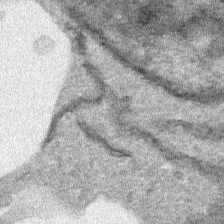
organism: Human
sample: Mitochondria in HCT116 cells